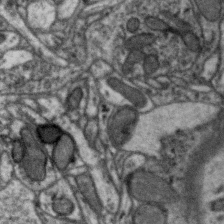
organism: Zebra finch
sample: Brain